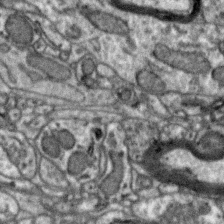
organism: Zebra finch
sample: Brain